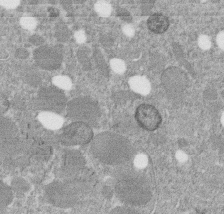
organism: C. elegans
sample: C. elegans embryo early stage